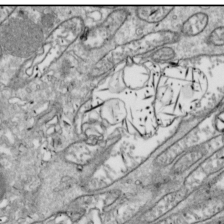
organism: Drosophila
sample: Cell division; meiosis; drosophila spermatocytes